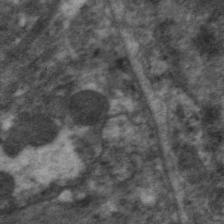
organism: C. elegans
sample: Pharynx